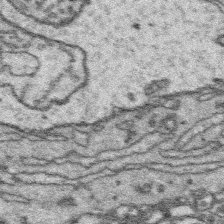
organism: Platynereis dumerilii